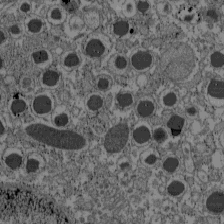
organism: C57BL Mouse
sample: Pancreatic islet